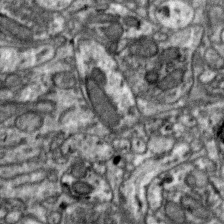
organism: Zebra finch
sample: Brain